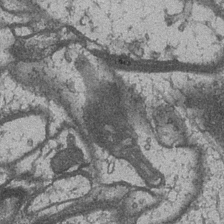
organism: Drosophila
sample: Optic medulla